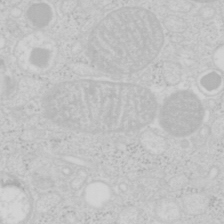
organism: Mouse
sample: Pancreas